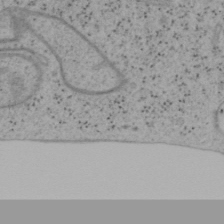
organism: Human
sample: HeLa cells